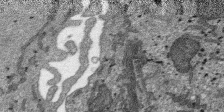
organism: Human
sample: Lung epithelial cells infected with SARS-CoV-2